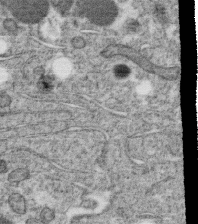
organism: C. elegans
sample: C. elegans oocyte; sperm cells